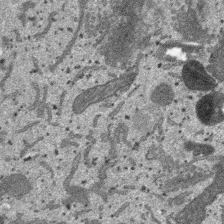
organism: Human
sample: Lung epithelial cells infected with SARS-CoV-2